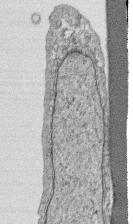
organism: Human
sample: CRL-1474